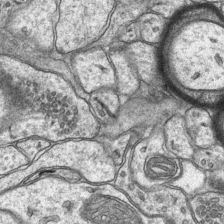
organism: Mouse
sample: CA1 Hippocampus